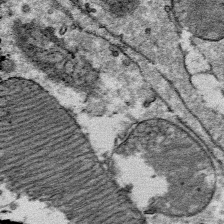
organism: Mouse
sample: Mouse Salivary gland